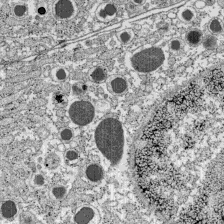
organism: C57BL Mouse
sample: Pancreatic islet